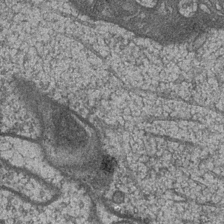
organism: Drosophila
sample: Optic medulla